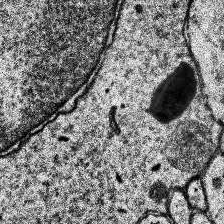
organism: Human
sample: Temporal Lobe